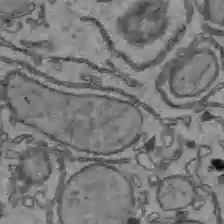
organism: C57BL Mouse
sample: Liver